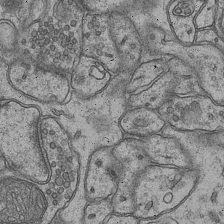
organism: Mouse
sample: CA1 Hippocampus